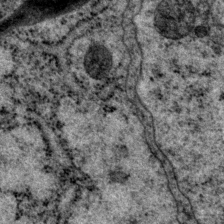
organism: P. pacificus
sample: Pharynx